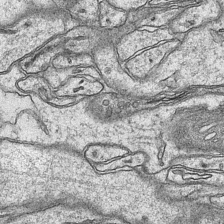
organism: Mouse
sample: CA1 Hippocampus